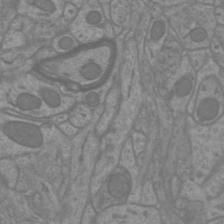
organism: Mouse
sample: Cortical neurons